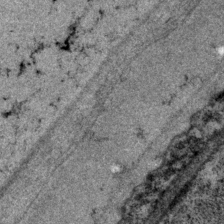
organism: P. pacificus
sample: Pharynx